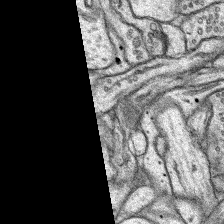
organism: Rat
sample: Hippocampus